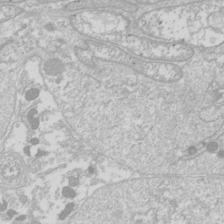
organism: Drosophila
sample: Cell division; meiosis; drosophila spermatocytes